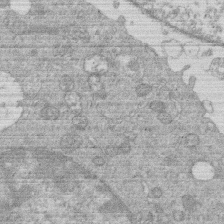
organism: Human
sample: Macrophage cells